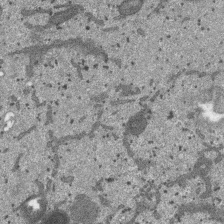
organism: Human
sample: Lung epithelial cells infected with SARS-CoV-2